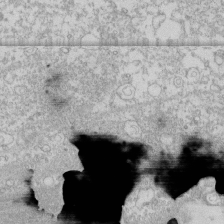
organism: Human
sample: CRL-1474